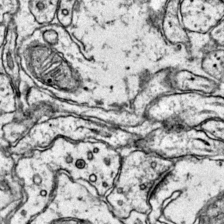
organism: Mouse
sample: Primary visual cortex